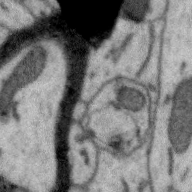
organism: Zebra finch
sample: Brain